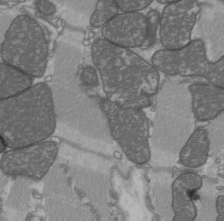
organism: C57BL Mouse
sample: Heart